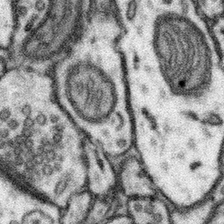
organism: Mouse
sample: Somatosensory cortex neuropil